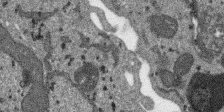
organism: Human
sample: Lung epithelial cells infected with SARS-CoV-2